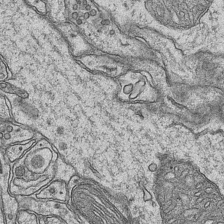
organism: Mouse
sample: CA1 Hippocampus